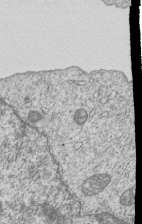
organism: Human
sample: MDA-MB-231 cells